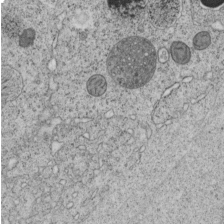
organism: C. elegans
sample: C. elegans embryo early stage